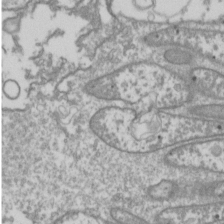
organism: Drosophila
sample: Cell division; meiosis; drosophila spermatocytes